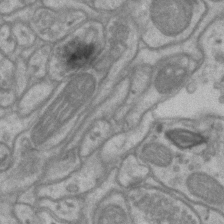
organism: Mouse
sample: CA1 Hippocampus